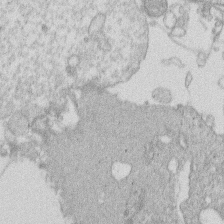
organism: Human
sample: Macrophage cells